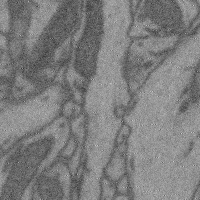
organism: Mouse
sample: Cerebral cortex